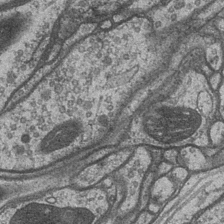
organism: Drosophila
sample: Optic medulla